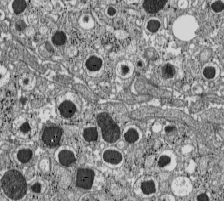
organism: C57BL Mouse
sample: Pancreatic islet